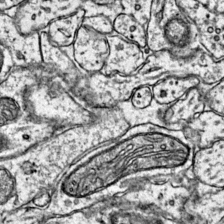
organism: Mouse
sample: Primary visual cortex